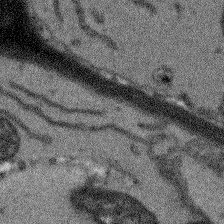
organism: Arabidopsis thaliana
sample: Root tip